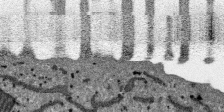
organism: Human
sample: Lung epithelial cells, uninfected (mock) control